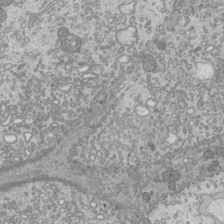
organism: Mouse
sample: Cilia; mouse epididymis